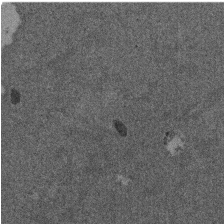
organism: Mouse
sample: Dividing mouse embryo 1 cell stage